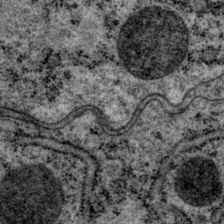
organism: P. pacificus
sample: Pharynx